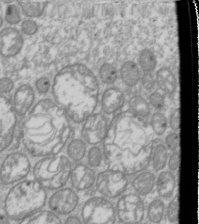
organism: Drosophila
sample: Cell division; meiosis; drosophila spermatocytes